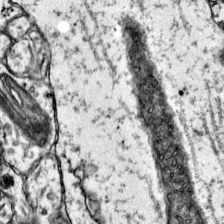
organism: Mouse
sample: Primary visual cortex